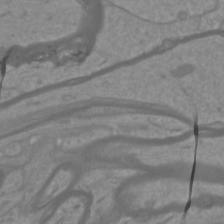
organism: Mouse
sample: Cortical neurons